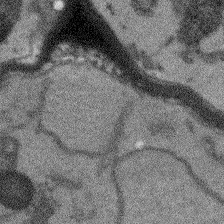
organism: Arabidopsis thaliana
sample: Root tip